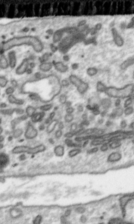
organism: Toxoplasma gondii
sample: Parasites in a vacuole inside a host cell